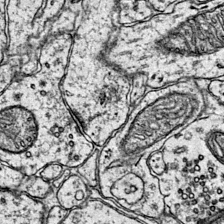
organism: Mouse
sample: Primary visual cortex